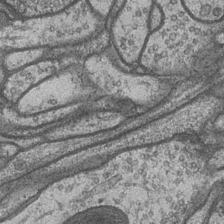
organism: Drosophila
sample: Optic medulla